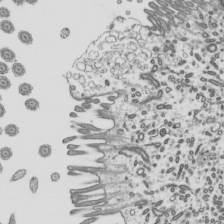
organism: Mouse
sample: Mouse epididymis efferent ductule cilia